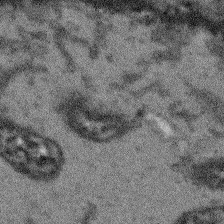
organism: Arabidopsis thaliana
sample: Root tip